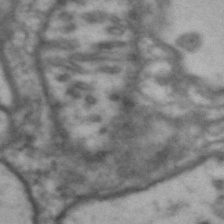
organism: Drosophila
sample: Brain